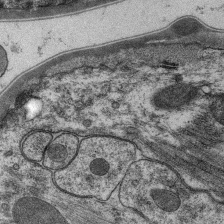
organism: C. elegans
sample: Pharynx